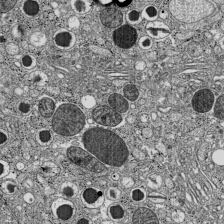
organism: C57BL Mouse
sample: Pancreatic islet